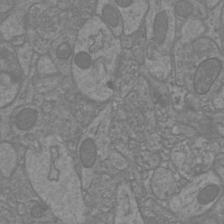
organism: Mouse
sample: Cortical neurons